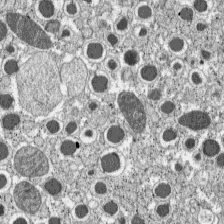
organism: C57BL Mouse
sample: Pancreatic islet